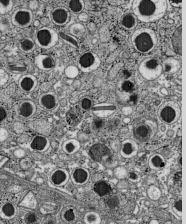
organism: C57BL Mouse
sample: Pancreatic islet